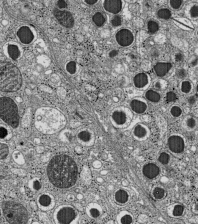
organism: C57BL Mouse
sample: Pancreatic islet